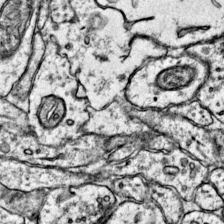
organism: Mouse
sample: Primary visual cortex